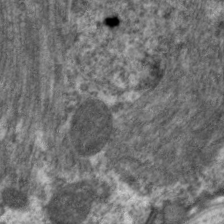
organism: C. elegans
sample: Pharynx